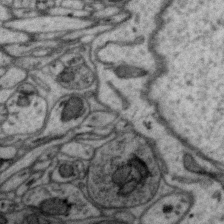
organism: Zebra finch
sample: Brain